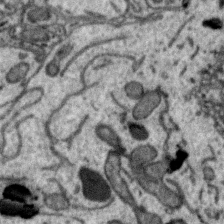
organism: Zebra finch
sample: Brain